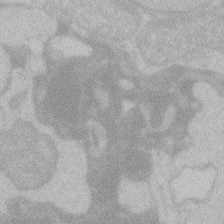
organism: Zebrafish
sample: Macrophage infected with Toxoplasma gondii